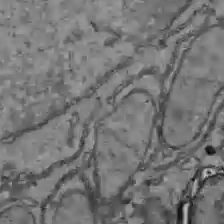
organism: C57BL Mouse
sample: Liver